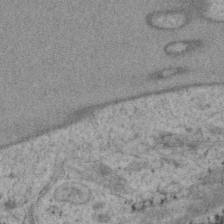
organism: Human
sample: HeLa cells